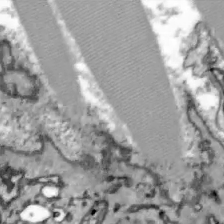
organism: Zebrafish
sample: Actinotrichia fibers